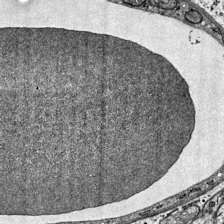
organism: Mouse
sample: Visual Cortex